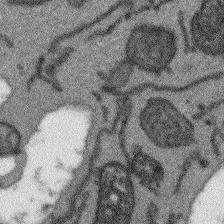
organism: Arabidopsis thaliana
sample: Root tip